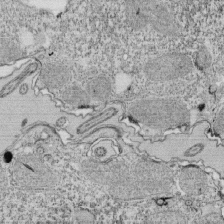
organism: Tetrahymena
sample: Cilia in tetrahymena